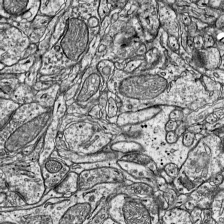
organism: Mouse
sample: Visual Cortex